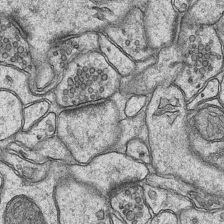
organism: Mouse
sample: CA1 Hippocampus